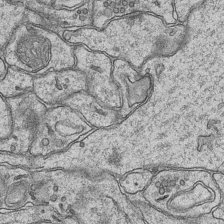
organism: Mouse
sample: CA1 Hippocampus